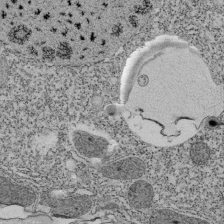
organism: Tetrahymena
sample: Cilia in tetrahymena